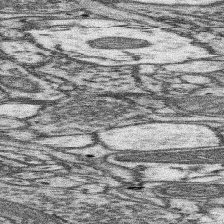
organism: Mouse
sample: Somatosensory cortex neuropil